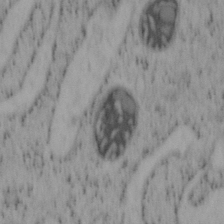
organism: Mouse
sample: OT-I killer T cells with ID8 ovarian cancer cells